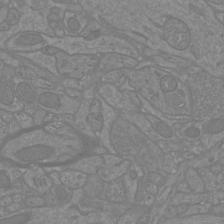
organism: Mouse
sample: Cortical neurons